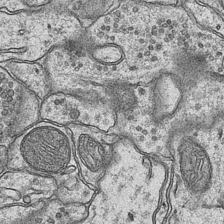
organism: Mouse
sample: CA1 Hippocampus